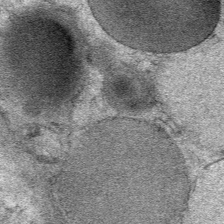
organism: Mouse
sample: Mouse Salivary gland